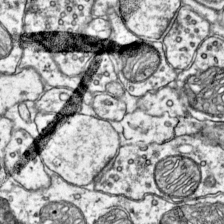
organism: Mouse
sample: Primary visual cortex